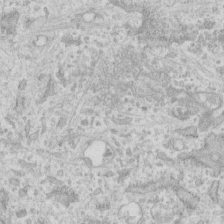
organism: Human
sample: Fibroblast cells